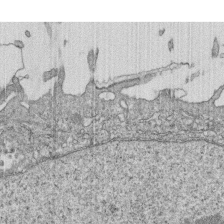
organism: Human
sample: HeLa cell HIV synapse